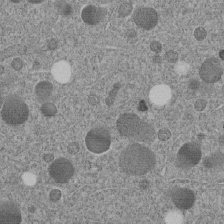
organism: C. elegans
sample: C. elegans embryo early stage